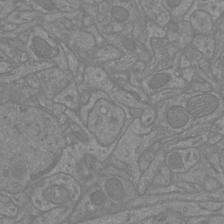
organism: Mouse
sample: Cortical neurons